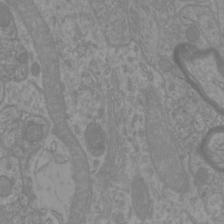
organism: Mouse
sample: Cortical neurons